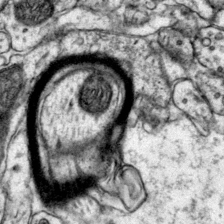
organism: Mouse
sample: Primary visual cortex